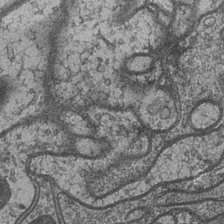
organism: Drosophila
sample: Optic medulla